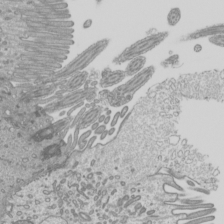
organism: Mouse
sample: Cilia; mouse epididymis